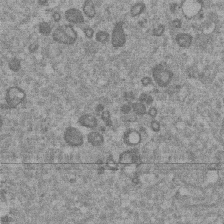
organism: Mouse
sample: Dividing mouse embryo 1 cell stage